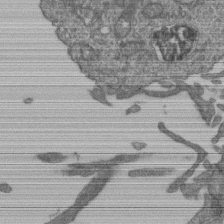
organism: Human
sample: Retinal organoid Rod and Cone cells